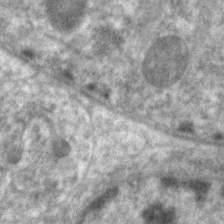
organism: C. elegans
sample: Pharynx